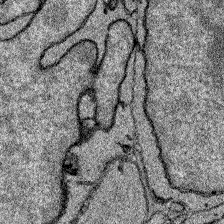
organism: Zebrafish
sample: Larval olfactory bulb